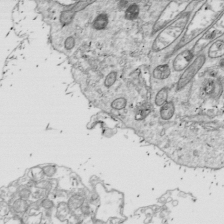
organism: Drosophila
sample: Cell division; meiosis; drosophila spermatocytes